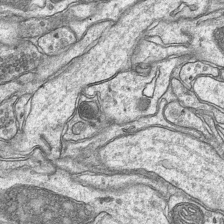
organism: Mouse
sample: CA1 Hippocampus